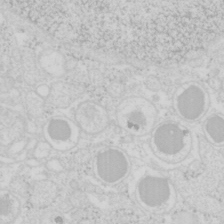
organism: Mouse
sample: Pancreas